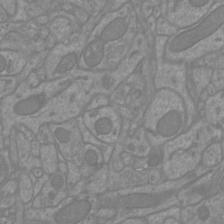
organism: Mouse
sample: Cortical neurons